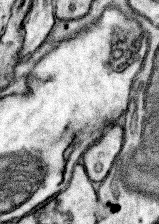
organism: Mouse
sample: Somatosensory cortex neuropil